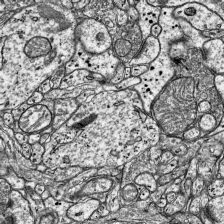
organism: Mouse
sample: Visual Cortex